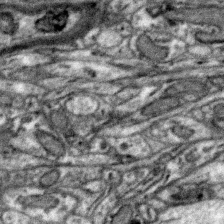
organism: Zebra finch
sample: Brain